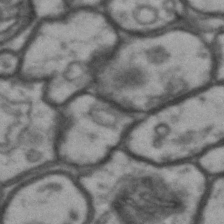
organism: Drosophila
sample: Brain